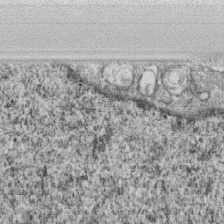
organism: African green monkey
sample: Vero E6 cells infected with SARS-CoV-2